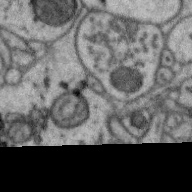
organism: Zebra finch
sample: Brain